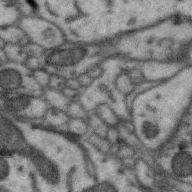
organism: Zebra finch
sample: Brain